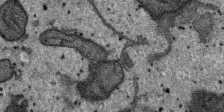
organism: Human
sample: Lung epithelial cells, uninfected (mock) control